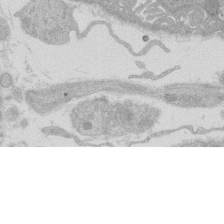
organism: Rat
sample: Salivary granule